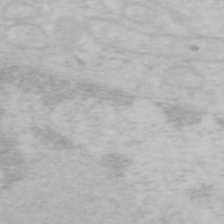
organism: Mouse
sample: OT-I killer T cells with ID8 ovarian cancer cells